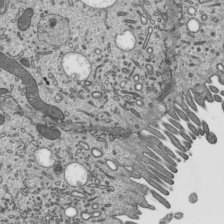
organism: Mouse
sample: Mouse epididymis efferent ductule cilia